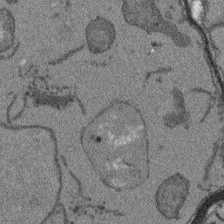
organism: Arabidopsis thaliana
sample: Root tip